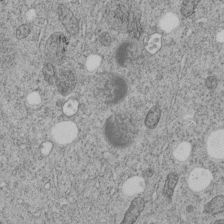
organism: C. elegans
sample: C. elegans embryo early stage